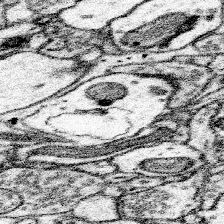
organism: Mouse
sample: Somatosensory cortex neuropil